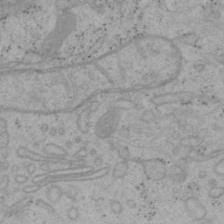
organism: Human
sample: HeLa cells